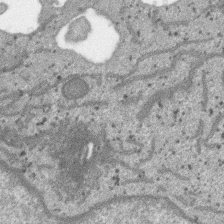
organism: Human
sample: Lung epithelial cells infected with SARS-CoV-2